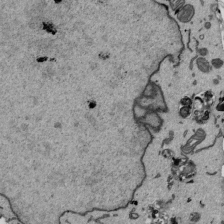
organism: Mouse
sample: ED-1 cell nuclei; centrioles